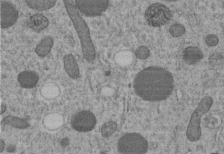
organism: C. elegans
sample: C. elegans embryo early stage